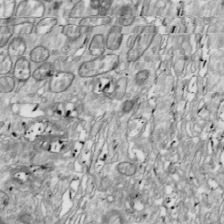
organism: Drosophila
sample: Cell division; meiosis; drosophila spermatocytes